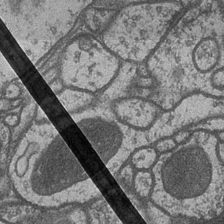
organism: Drosophila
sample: Optic medulla